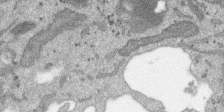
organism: Human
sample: Lung epithelial cells infected with SARS-CoV-2